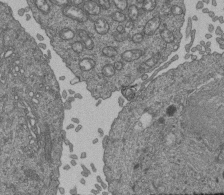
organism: Human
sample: Retinal organoid Rod and Cone cells